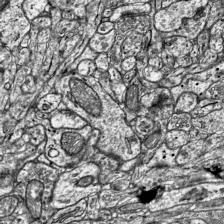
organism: Mouse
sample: Visual Cortex